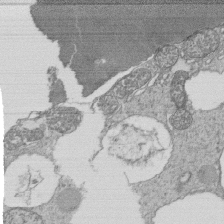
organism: Tetrahymena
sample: Cilia in tetrahymena